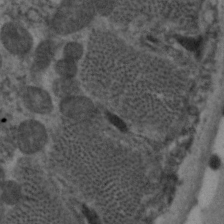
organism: C. elegans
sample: Pharynx